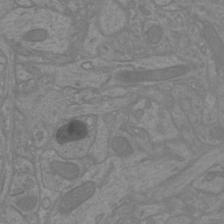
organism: Mouse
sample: Cortical neurons